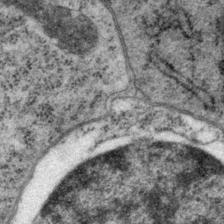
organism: P. pacificus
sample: Pharynx